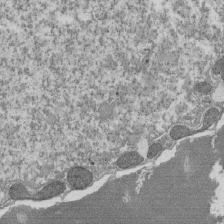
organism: Tetrahymena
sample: Cilia in tetrahymena